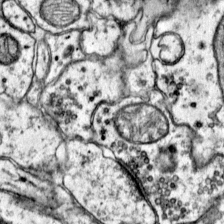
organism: Mouse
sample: Primary visual cortex